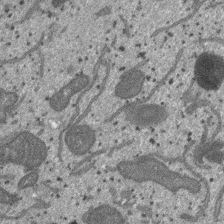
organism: Human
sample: Lung epithelial cells infected with SARS-CoV-2